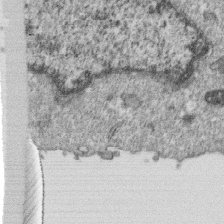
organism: African green monkey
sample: Vero E6 cells infected with SARS-CoV-2